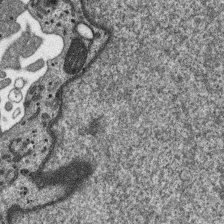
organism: Human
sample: Lung epithelial cells infected with SARS-CoV-2